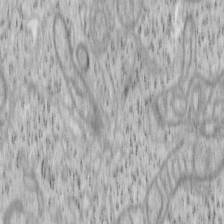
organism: Human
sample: HeLa cells